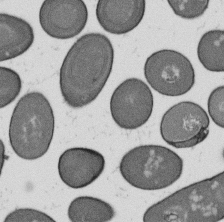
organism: B. subtilis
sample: Bacterial spore